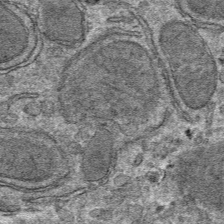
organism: Mouse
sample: Mouse hepatocytes